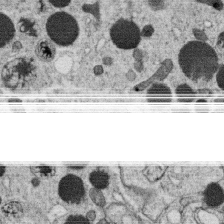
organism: C. elegans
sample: C. elegans oocyte; sperm cells